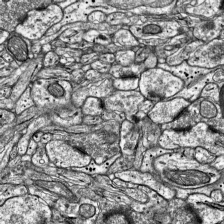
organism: Mouse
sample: Visual Cortex